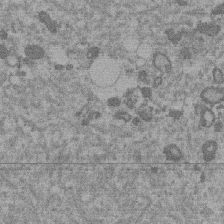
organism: Mouse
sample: Dividing mouse embryo 1 cell stage